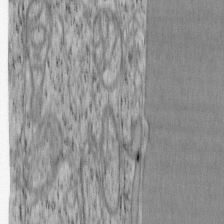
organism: Human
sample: HeLa cells